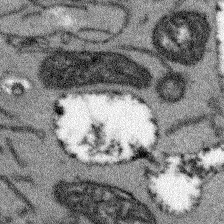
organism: Arabidopsis thaliana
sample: Root tip